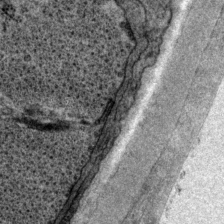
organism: P. pacificus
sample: Pharynx